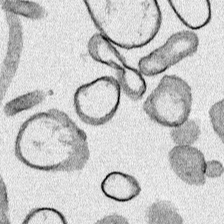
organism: Human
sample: Mitochondria in HCT116 cells